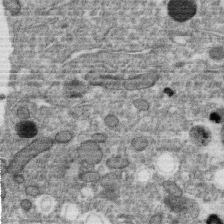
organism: C. elegans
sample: C. elegans oocyte; sperm cells